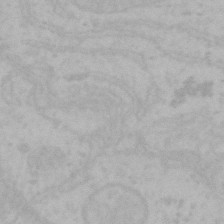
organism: Mouse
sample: Choroid plexus